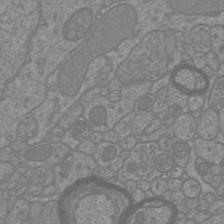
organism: Mouse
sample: Cortical neurons